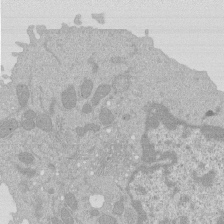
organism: Mouse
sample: Activated Pmel transgenic CD8+ T Cells